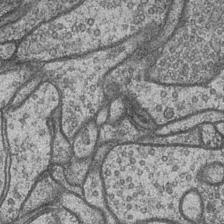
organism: Drosophila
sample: Optic medulla